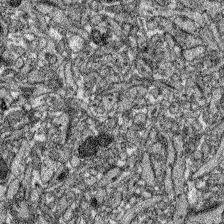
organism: Zebrafish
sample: Larval olfactory bulb